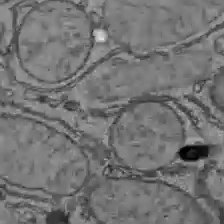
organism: C57BL Mouse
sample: Liver